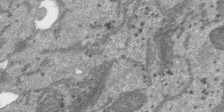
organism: Human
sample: Lung epithelial cells infected with SARS-CoV-2